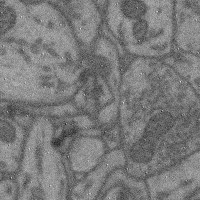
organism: Mouse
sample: Cerebral cortex